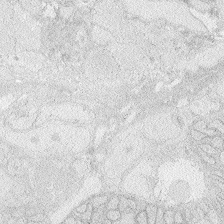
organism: Zebrafish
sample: Whole-Brain